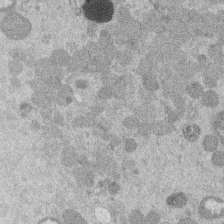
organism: Mouse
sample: Dividing mouse embryo 1 cell stage